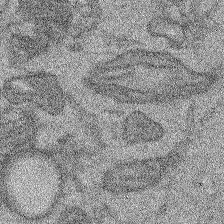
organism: Human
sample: HeLa cells